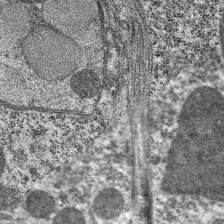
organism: C. elegans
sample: Pharynx